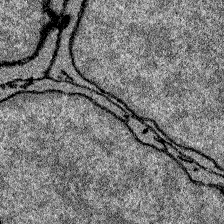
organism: Zebrafish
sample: Larval olfactory bulb